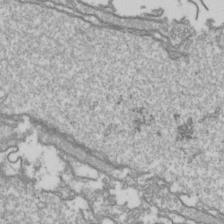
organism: Drosophila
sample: Cell division; meiosis; drosophila spermatocytes